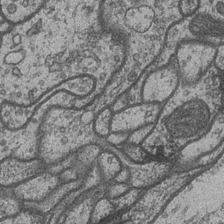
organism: Drosophila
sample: Optic medulla